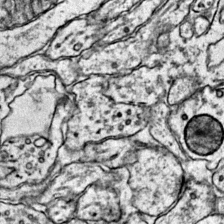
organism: Mouse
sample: Primary visual cortex